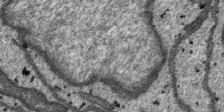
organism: Human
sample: Lung epithelial cells, uninfected (mock) control